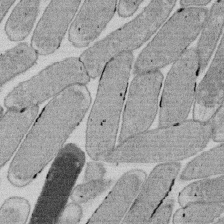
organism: E. coli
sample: Bacterial nucleoid